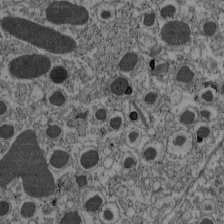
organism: C57BL Mouse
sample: Pancreatic islet